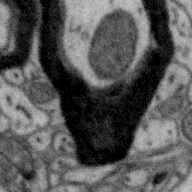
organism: Zebra finch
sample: Brain